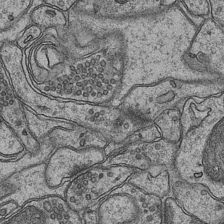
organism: Mouse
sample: CA1 Hippocampus